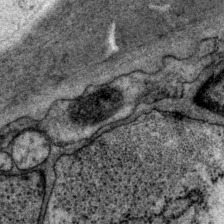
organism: P. pacificus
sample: Pharynx